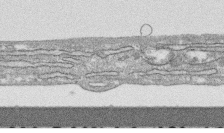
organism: Human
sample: CRL-1474